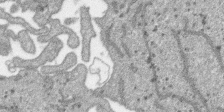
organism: Human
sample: Lung epithelial cells infected with SARS-CoV-2